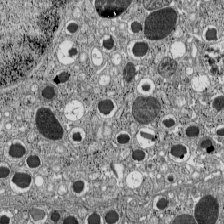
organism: C57BL Mouse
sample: Pancreatic islet